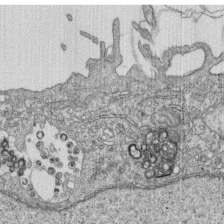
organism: Human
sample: HeLa cell HIV synapse